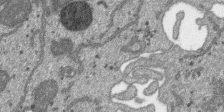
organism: Human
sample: Lung epithelial cells infected with SARS-CoV-2